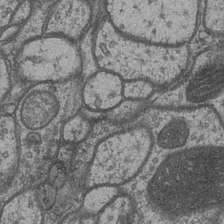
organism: Drosophila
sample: Optic medulla